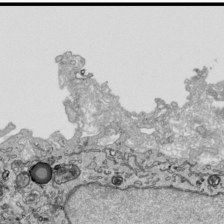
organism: Human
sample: Mitochondria in HCT116 cells